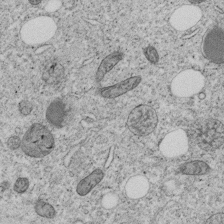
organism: C. elegans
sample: C. elegans embryo early stage